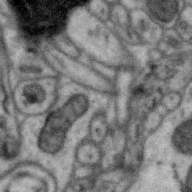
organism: Zebra finch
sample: Brain